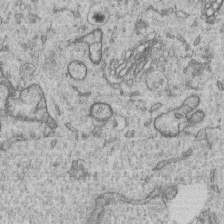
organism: Human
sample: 1205lu cells